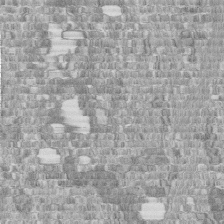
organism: Human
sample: Centriole in fibroblast cells